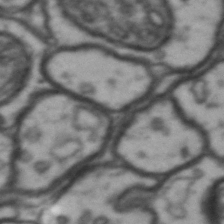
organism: Drosophila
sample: Brain